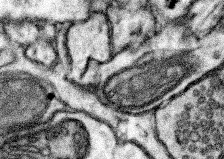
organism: Mouse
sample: Somatosensory cortex neuropil